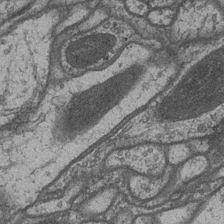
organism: Drosophila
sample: Optic medulla